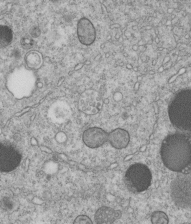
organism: C. elegans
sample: C. elegans embryo early stage